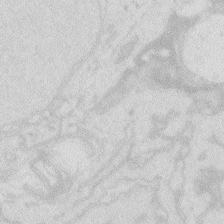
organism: Zebrafish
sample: Macrophage